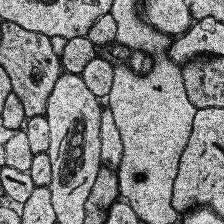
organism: Human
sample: Temporal Lobe